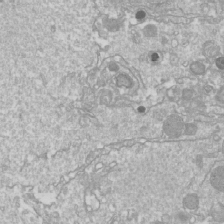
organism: Drosophila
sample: Cell division; meiosis; drosophila spermatocytes